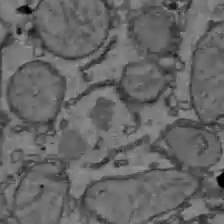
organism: C57BL Mouse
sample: Liver